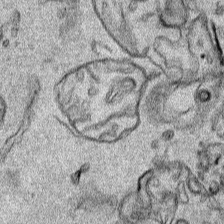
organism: Human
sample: Mitochondria in HCT116 cells